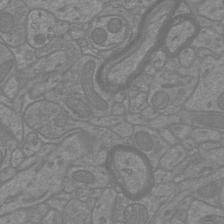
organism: Mouse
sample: Cortical neurons